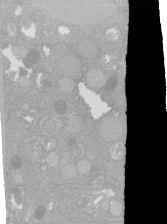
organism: C. elegans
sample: C. elegans oocyte; sperm cells